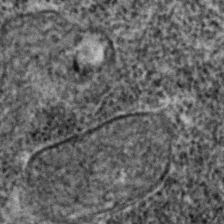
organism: Zebrafish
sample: Zebrafish embryo